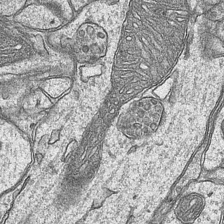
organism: Mouse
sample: CA1 Hippocampus